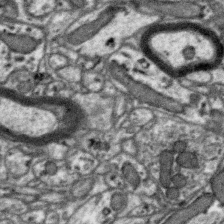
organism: Zebra finch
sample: Brain